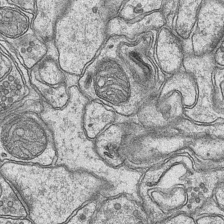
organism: Mouse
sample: CA1 Hippocampus